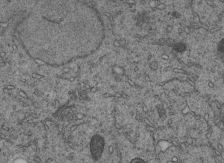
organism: C. elegans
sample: C. elegans embryo early stage